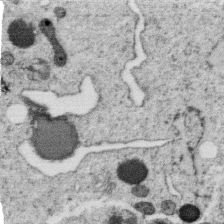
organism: C. elegans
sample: C. elegans oocyte; sperm cells